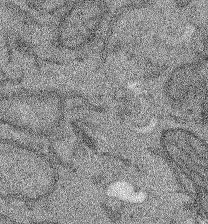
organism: Human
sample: HeLa cells